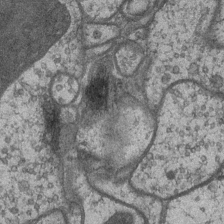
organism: Drosophila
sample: Optic medulla